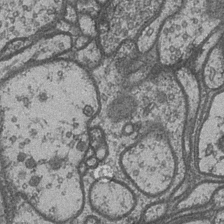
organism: Drosophila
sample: Optic medulla